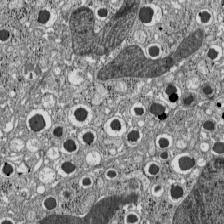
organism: C57BL Mouse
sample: Pancreatic islet